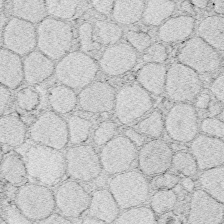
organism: Zebrafish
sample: Whole-Brain